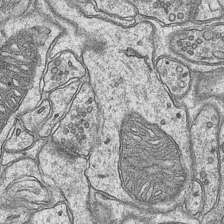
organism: Mouse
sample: CA1 Hippocampus